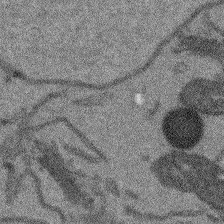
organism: Arabidopsis thaliana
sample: Root tip